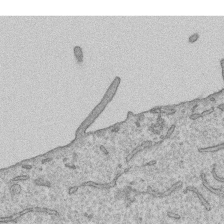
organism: Human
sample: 1205lu cells